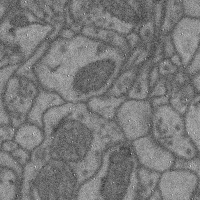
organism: Mouse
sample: Cerebral cortex